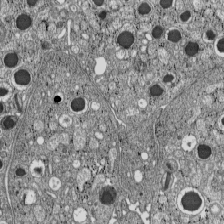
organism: C57BL Mouse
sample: Pancreatic islet